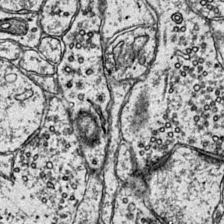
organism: Mouse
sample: Primary visual cortex